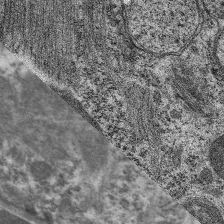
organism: C. elegans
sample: Pharynx